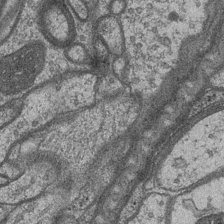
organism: Drosophila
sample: Optic medulla